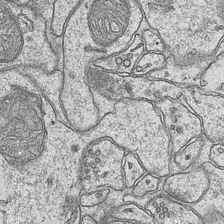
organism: Mouse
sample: CA1 Hippocampus